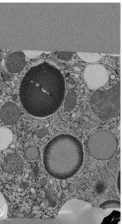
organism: C. elegans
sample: C. elegans pharynx